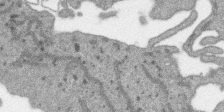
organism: Human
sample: Lung epithelial cells infected with SARS-CoV-2